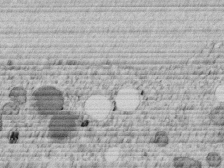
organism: C. elegans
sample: C. elegans embryo early stage